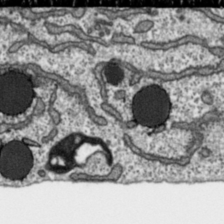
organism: Toxoplasma gondii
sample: Parasites in a vacuole inside a host cell